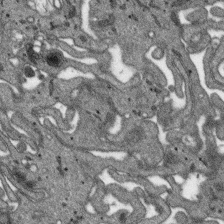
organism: Human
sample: Lung epithelial cells, uninfected (mock) control